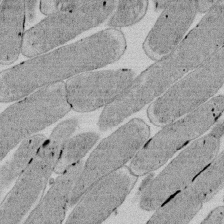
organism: E. coli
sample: Bacterial nucleoid